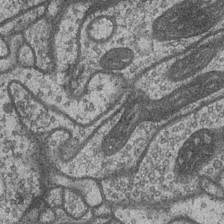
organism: Drosophila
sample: Optic medulla